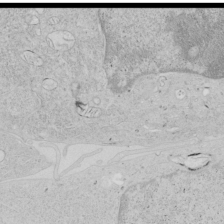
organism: Human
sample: Mitochondria in HCT116 cells